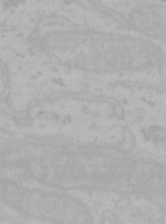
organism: Mouse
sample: Choroid plexus